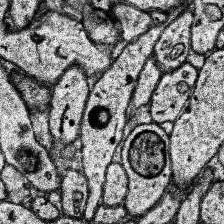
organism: Human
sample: Temporal Lobe